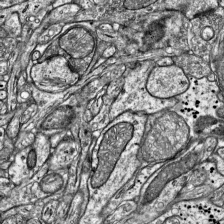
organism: Mouse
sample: Visual Cortex